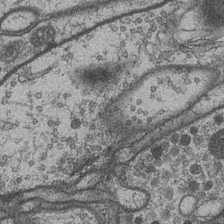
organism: Drosophila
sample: Optic medulla